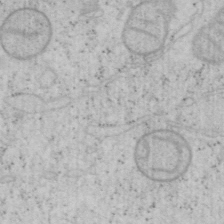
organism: Human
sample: HeLa cells